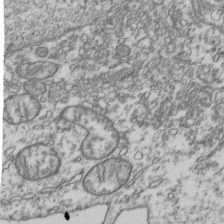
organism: Human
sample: Activated Jurkat CD4+ T cells